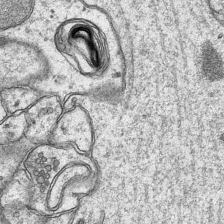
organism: Mouse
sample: CA1 Hippocampus